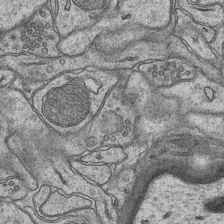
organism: Mouse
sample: CA1 Hippocampus